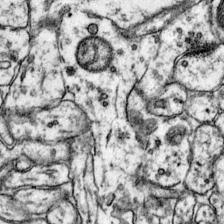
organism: Mouse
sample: Primary visual cortex